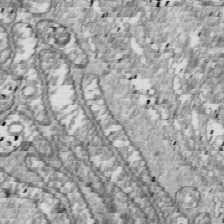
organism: Drosophila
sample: Cell division; meiosis; drosophila spermatocytes